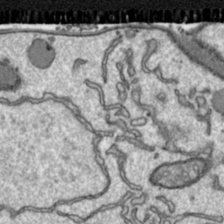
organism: Toxoplasma gondii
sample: Parasites in a vacuole inside a host cell